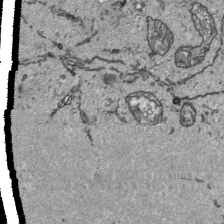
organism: Human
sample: Mitochondria in HCT116 cells